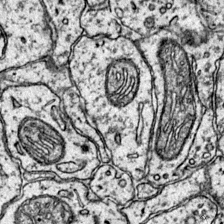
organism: Mouse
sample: Primary visual cortex